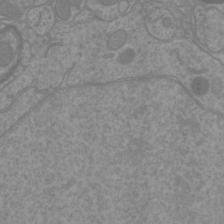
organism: Mouse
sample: Cortical neurons